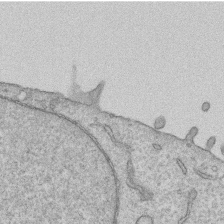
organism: Human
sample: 1205lu cells